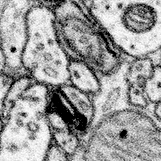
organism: Mouse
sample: Somatosensory cortex neuropil